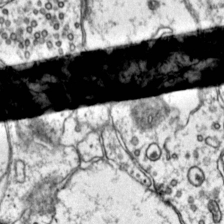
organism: Mouse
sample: Primary visual cortex